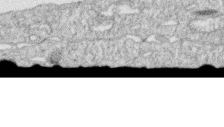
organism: Human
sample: HeLa cell HIV synapse